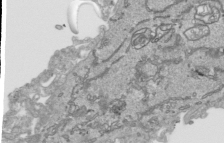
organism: Human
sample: Mitochondria in HCT116 cells